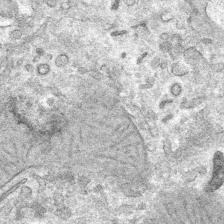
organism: Mouse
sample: Mouse hepatocytes